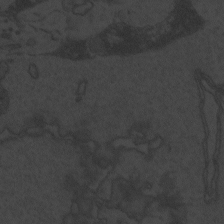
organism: Zebrafish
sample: Macrophage infected with Toxoplasma gondii